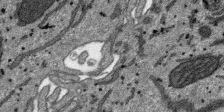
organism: Human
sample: Lung epithelial cells, uninfected (mock) control